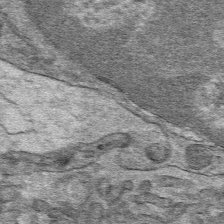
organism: Mouse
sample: Mouse hepatocytes